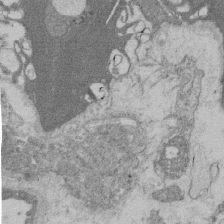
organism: Rat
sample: Salivary granule